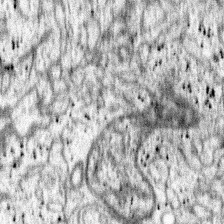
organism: Human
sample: HeLa cells